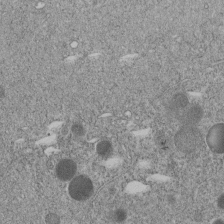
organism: C. elegans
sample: C. elegans embryo early stage